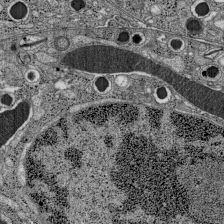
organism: C57BL Mouse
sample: Pancreatic islet